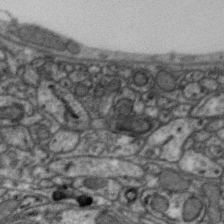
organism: Zebra finch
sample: Brain